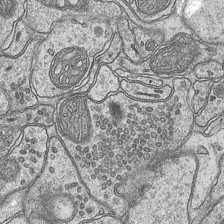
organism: Mouse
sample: CA1 Hippocampus